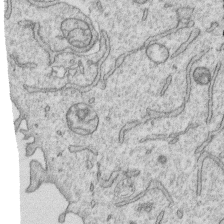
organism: Human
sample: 1205lu cells